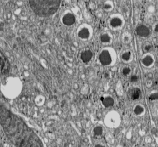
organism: C57BL Mouse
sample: Pancreatic islet